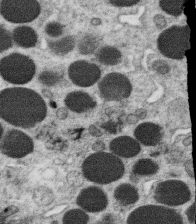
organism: C. elegans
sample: C. elegans oocyte; sperm cells